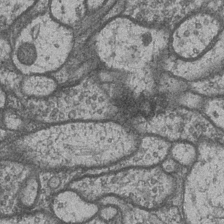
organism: Drosophila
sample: Optic medulla